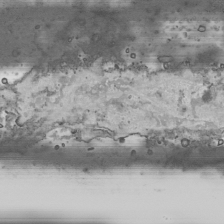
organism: Human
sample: Mitochondria in HCT116 cells